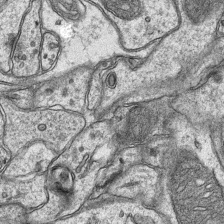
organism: Mouse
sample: CA1 Hippocampus